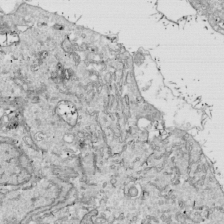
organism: Drosophila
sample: Cell division; meiosis; drosophila spermatocytes